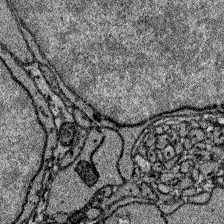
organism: Zebrafish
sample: Larval olfactory bulb